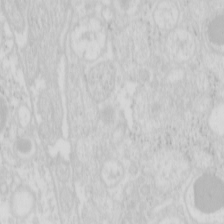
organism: Mouse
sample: Pancreas